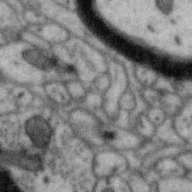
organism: Zebra finch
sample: Brain